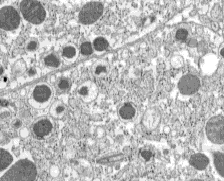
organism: C57BL Mouse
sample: Pancreatic islet